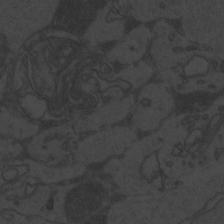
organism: Zebrafish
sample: Macrophage infected with Toxoplasma gondii